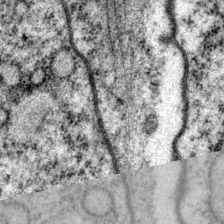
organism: P. pacificus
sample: Pharynx